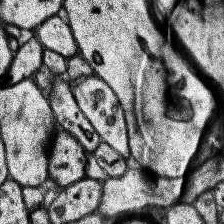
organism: Human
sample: Temporal Lobe